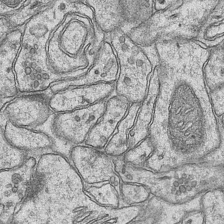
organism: Mouse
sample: CA1 Hippocampus